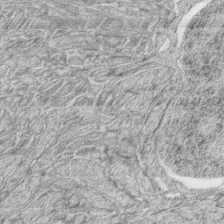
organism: Zebrafish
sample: synaptic ribbons in rod cells and cone cells